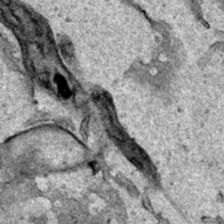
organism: Human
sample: Mitochondria in HCT116 cells